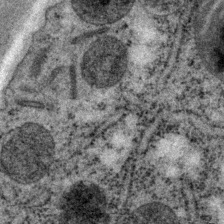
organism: P. pacificus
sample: Pharynx